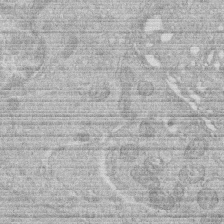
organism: Human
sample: Macrophage cells